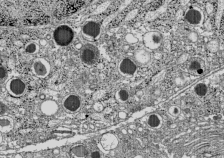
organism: C57BL Mouse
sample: Pancreatic islet